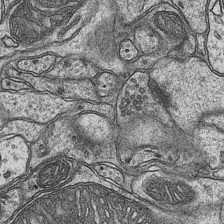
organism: Mouse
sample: CA1 Hippocampus